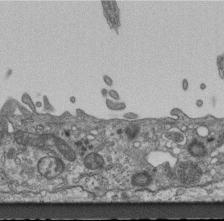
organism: Mouse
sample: Centriole in ependymal cells